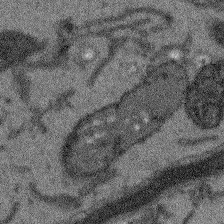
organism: Arabidopsis thaliana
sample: Root tip